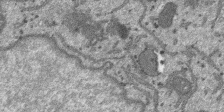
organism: Human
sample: Lung epithelial cells infected with SARS-CoV-2